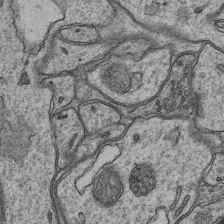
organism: Mouse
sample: CA1 Hippocampus